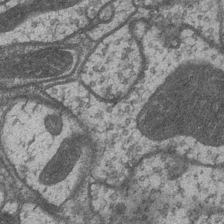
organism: Drosophila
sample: Optic medulla